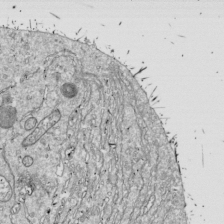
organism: Drosophila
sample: Cell division; meiosis; drosophila spermatocytes